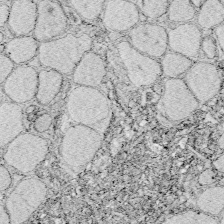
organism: Zebrafish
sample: Whole-Brain